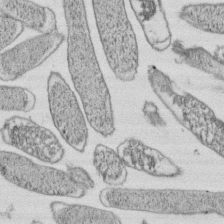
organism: E. coli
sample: Bacterial nucleoid